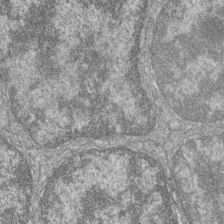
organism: Zebrafish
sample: Cilia; retinal pigment epithelium